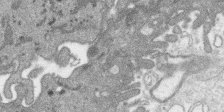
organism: Human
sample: Lung epithelial cells infected with SARS-CoV-2